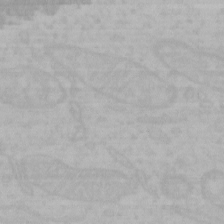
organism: Mouse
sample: Choroid plexus